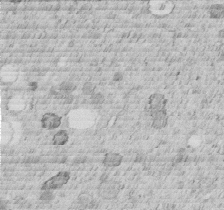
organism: C. elegans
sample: C. elegans embryo early stage